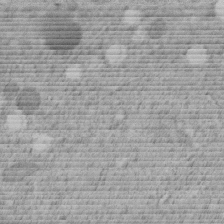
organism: C. elegans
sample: C. elegans embryo early stage